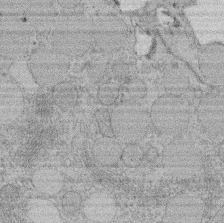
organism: Rat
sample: Salivary granule